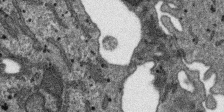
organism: Human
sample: Lung epithelial cells infected with SARS-CoV-2